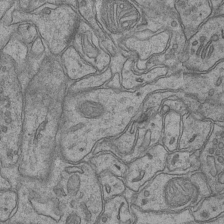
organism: Mouse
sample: CA1 Hippocampus